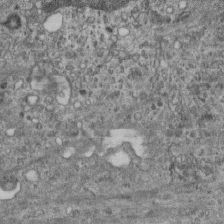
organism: Mouse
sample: Centriole in ependymal cells